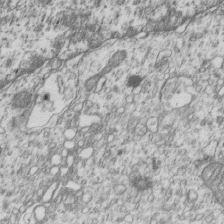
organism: Human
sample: MDA-MB-231 cells